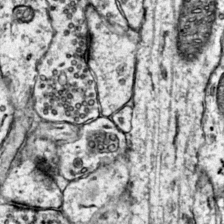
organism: Mouse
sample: Primary visual cortex